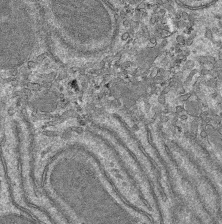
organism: Mouse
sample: Mouse hepatocytes